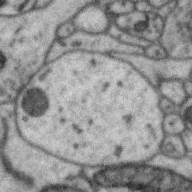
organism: Zebra finch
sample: Brain